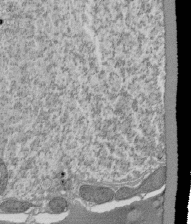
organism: Tetrahymena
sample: Cilia in tetrahymena